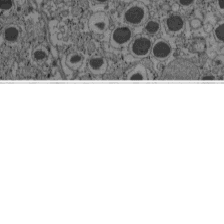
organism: C57BL Mouse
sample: Pancreatic islet